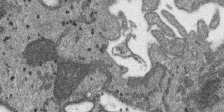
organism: Human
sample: Lung epithelial cells infected with SARS-CoV-2